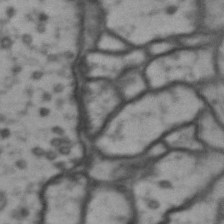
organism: Drosophila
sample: Brain